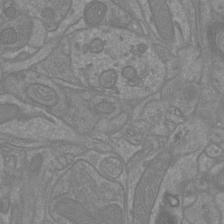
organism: Mouse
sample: Cortical neurons